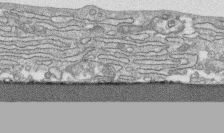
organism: Human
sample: CRL-1474